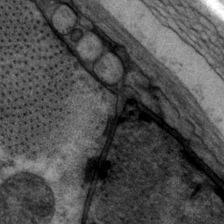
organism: P. pacificus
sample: Pharynx